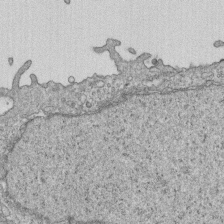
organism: Human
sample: HeLa cell HIV synapse